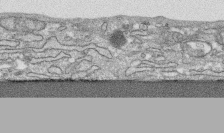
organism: Human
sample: CRL-1474